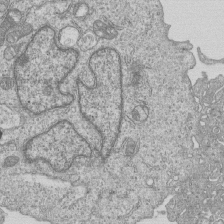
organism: Human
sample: MDA-MB-231 cells